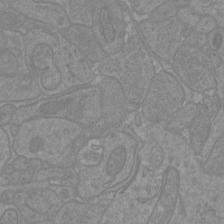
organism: Mouse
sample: Cortical neurons